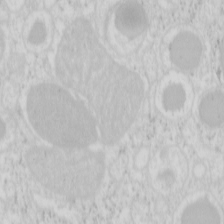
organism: Mouse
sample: Pancreas